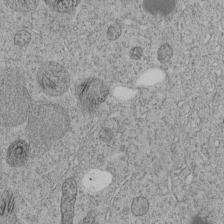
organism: C. elegans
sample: C. elegans embryo early stage